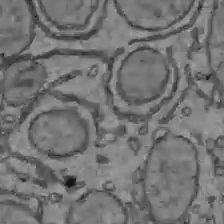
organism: C57BL Mouse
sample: Liver